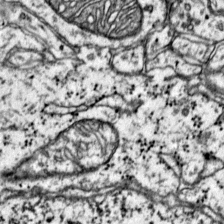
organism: Mouse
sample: Primary visual cortex